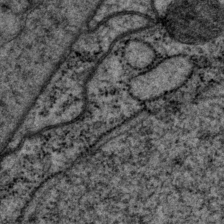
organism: P. pacificus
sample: Pharynx